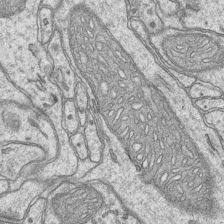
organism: Mouse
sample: CA1 Hippocampus